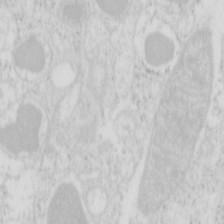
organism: Mouse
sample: Pancreas